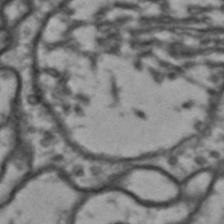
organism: Drosophila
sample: Brain